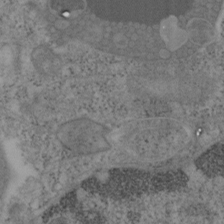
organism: Mouse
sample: OT-I killer T cells with ID8 ovarian cancer cells